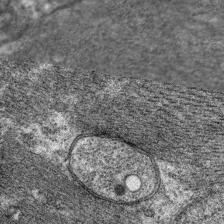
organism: C. elegans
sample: Pharynx